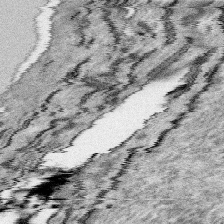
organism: Human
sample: HeLa cells